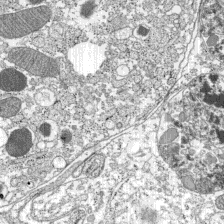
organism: C57BL Mouse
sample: Pancreatic islet